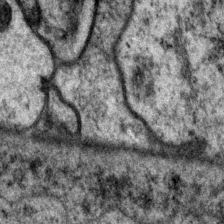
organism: P. pacificus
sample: Pharynx